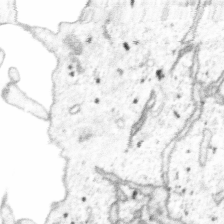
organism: Human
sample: HeLa cells